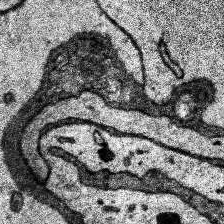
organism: Human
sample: Temporal Lobe